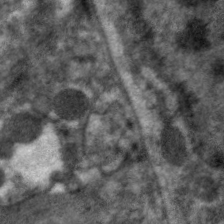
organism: C. elegans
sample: Pharynx